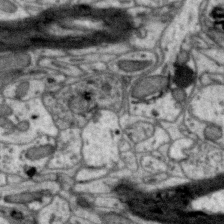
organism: Zebra finch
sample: Brain